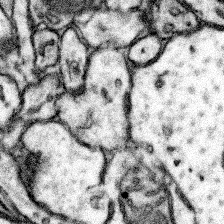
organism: Mouse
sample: Somatosensory cortex neuropil